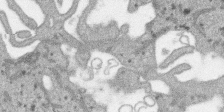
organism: Human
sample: Lung epithelial cells infected with SARS-CoV-2